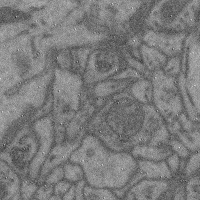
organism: Mouse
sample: Cerebral cortex